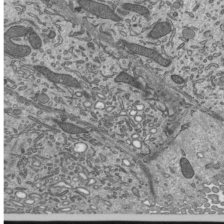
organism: Mouse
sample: Mouse epididymis efferent ductule cilia